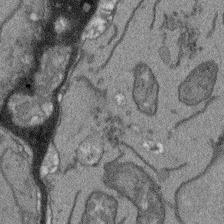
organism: Arabidopsis thaliana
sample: Root tip